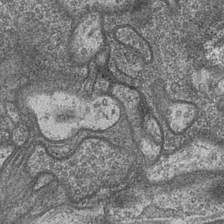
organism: Drosophila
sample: Optic medulla